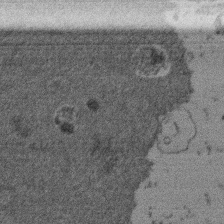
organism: Mouse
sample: Dividing mouse embryo 1 cell stage